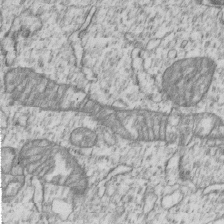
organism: Human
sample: MDA-MB-231 cells